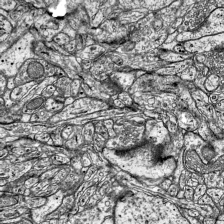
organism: Mouse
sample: Visual Cortex